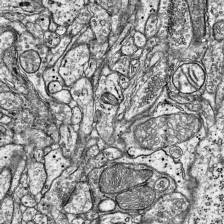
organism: Mouse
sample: Visual Cortex